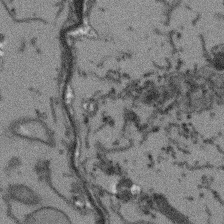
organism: Arabidopsis thaliana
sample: Root tip